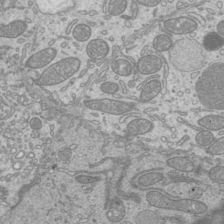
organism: Mouse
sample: Cilia; mouse epididymis